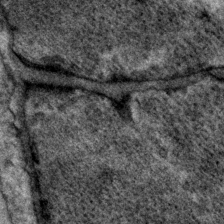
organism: P. pacificus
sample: Pharynx